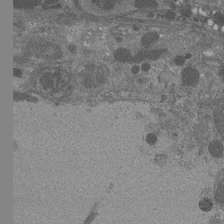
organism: Drosophila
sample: Antenna